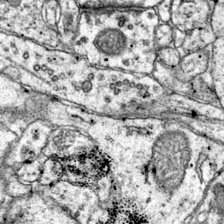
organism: Mouse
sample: Primary visual cortex